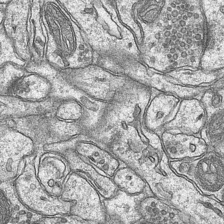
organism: Mouse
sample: CA1 Hippocampus